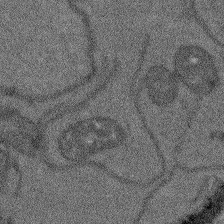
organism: Arabidopsis thaliana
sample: Root tip